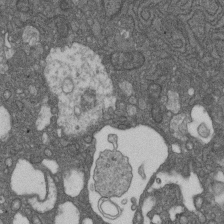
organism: Drosophila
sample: Nephrocyte